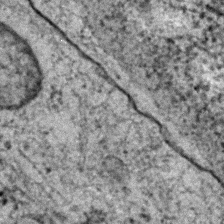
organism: C. elegans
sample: C. elegans embryo